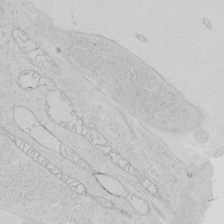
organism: Human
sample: Mitochondria in HCT116 cells